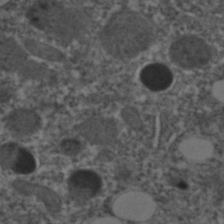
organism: C. elegans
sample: C. elegans embryo